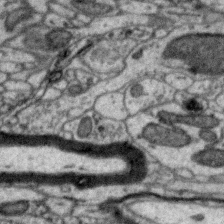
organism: Zebra finch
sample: Brain